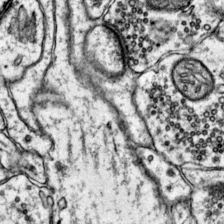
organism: Mouse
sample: Primary visual cortex